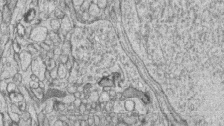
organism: Zebrafish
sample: synaptic ribbons in rod cells and cone cells